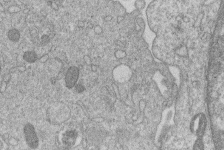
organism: Human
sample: Macrophage cells